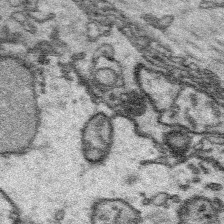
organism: Platynereis dumerilii